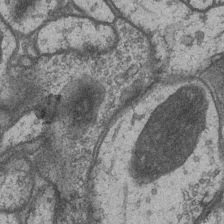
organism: Drosophila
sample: Optic medulla